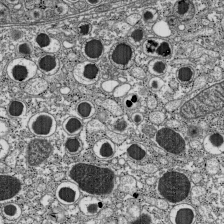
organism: C57BL Mouse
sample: Pancreatic islet